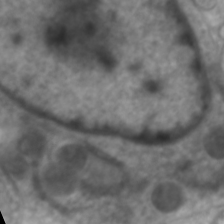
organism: C. elegans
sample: Pharynx